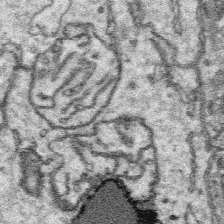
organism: Platynereis dumerilii